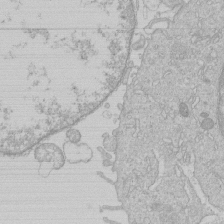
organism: Human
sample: Macrophage cells